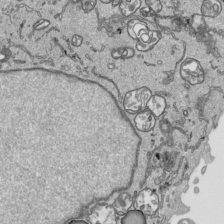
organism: Human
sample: Mitochondria in HCT116 cells